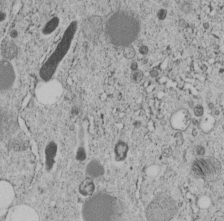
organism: C. elegans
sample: C. elegans embryo early stage